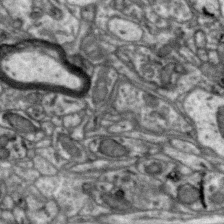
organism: Zebra finch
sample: Brain